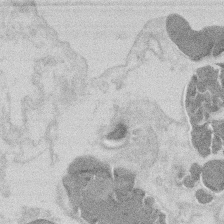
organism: Mouse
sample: T cell stromal cell synapse